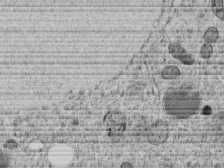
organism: C. elegans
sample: C. elegans embryo early stage